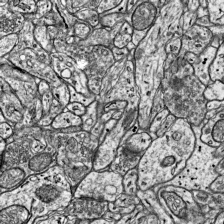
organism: Mouse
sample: Visual Cortex